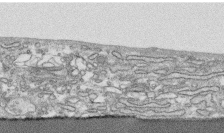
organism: Human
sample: CRL-1474